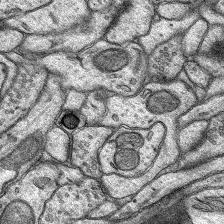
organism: Rat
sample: Hippocampus